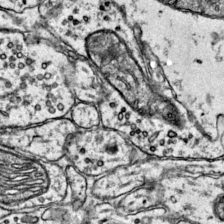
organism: Mouse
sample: Primary visual cortex